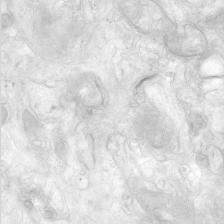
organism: Human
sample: Neocortex